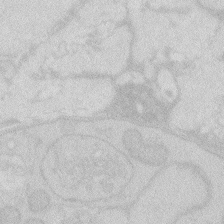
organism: Zebrafish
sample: Macrophage